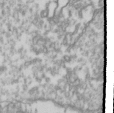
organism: Drosophila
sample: Cell division; meiosis; drosophila spermatocytes